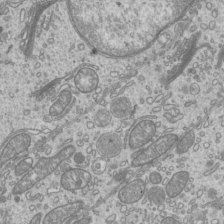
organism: Mouse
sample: Cilia; mouse epididymis